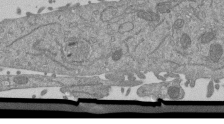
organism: Mouse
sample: ED-1 cell nuclei; centrioles